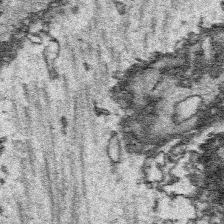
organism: Platynereis dumerilii